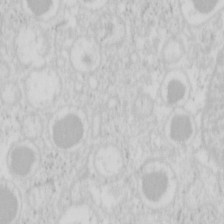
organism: Mouse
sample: Pancreas